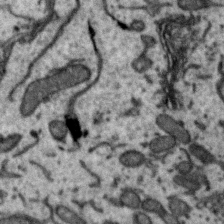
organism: Zebra finch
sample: Brain